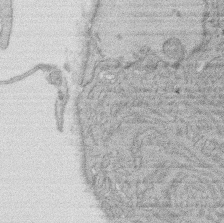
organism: Rat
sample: Salivary granule